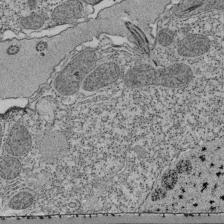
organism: Tetrahymena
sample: Cilia in tetrahymena